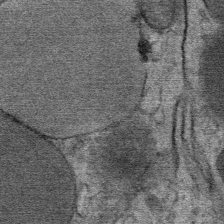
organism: Mouse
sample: Mouse Salivary gland